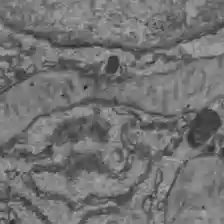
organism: C57BL Mouse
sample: Liver